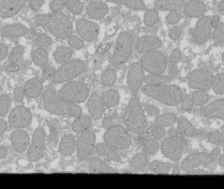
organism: Xenopus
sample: Cilia; centrioles in frog embryo cells